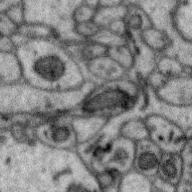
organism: Zebra finch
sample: Brain